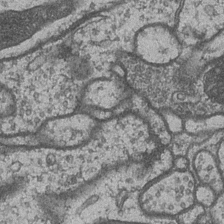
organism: Drosophila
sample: Optic medulla